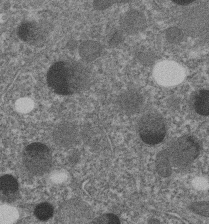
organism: C. elegans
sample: C. elegans embryo early stage